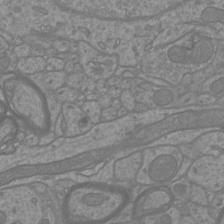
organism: Mouse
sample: Cortical neurons